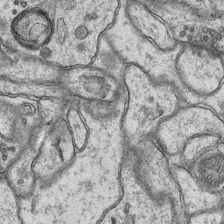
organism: Mouse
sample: CA1 Hippocampus